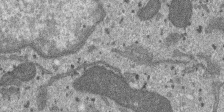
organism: Human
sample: Lung epithelial cells infected with SARS-CoV-2